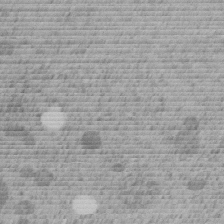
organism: C. elegans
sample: C. elegans embryo early stage